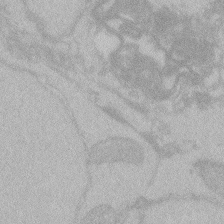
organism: Zebrafish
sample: Macrophage infected with Toxoplasma gondii